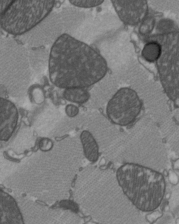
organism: C57BL Mouse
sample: Heart